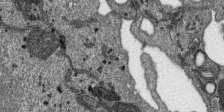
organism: Human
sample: Lung epithelial cells infected with SARS-CoV-2